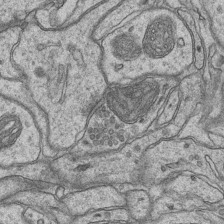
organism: Mouse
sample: CA1 Hippocampus